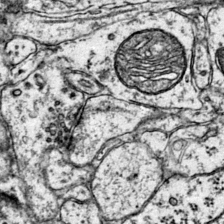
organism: Mouse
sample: Primary visual cortex